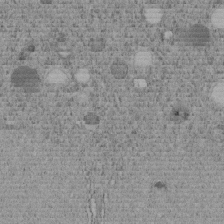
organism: C. elegans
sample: C. elegans embryo early stage